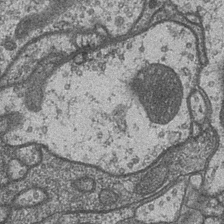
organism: Drosophila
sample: Optic medulla